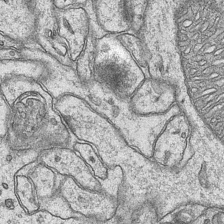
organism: Mouse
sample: CA1 Hippocampus